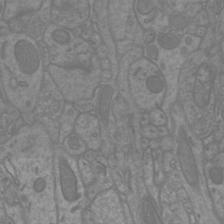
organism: Mouse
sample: Cortical neurons